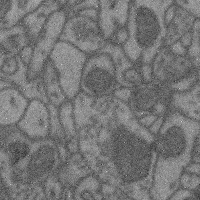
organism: Mouse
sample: Cerebral cortex